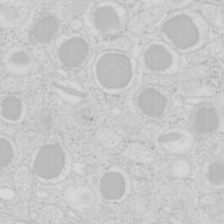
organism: Mouse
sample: Pancreas